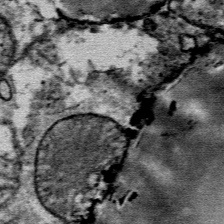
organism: Mouse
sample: Mouse Salivary gland